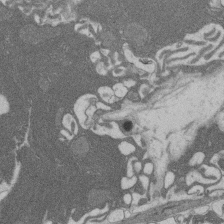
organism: Rat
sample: Salivary granule